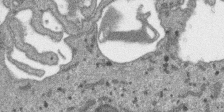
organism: Human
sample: Lung epithelial cells infected with SARS-CoV-2